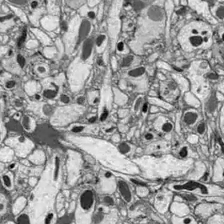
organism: Drosophila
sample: Optic lobe